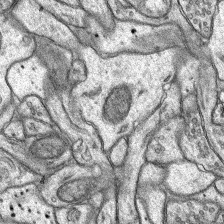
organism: Rat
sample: Hippocampus